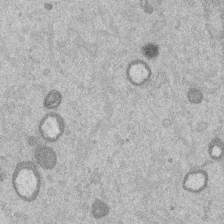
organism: Mouse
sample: Dividing mouse embryo 1 cell stage